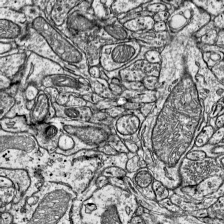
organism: Mouse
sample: Visual Cortex